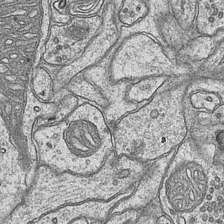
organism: Mouse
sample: CA1 Hippocampus